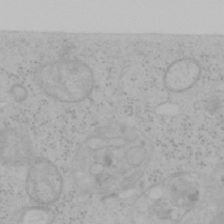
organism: Mouse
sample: OT-I killer T cells with ID8 ovarian cancer cells